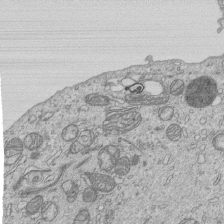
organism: Human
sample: MDA-MB-231 cells